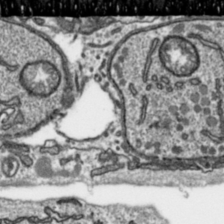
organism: Toxoplasma gondii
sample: Parasites in a vacuole inside a host cell